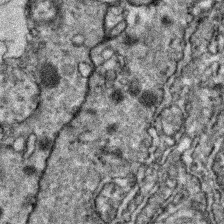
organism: Zebrafish